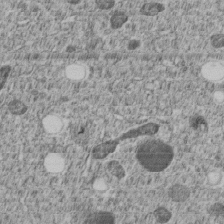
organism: C. elegans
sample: C. elegans embryo early stage